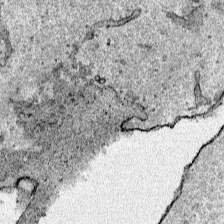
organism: Human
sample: Mitochondria in HCT116 cells